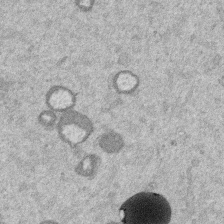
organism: Mouse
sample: Dividing mouse embryo 1 cell stage